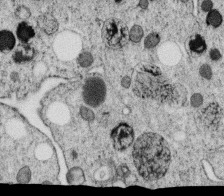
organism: C. elegans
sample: C. elegans oocyte; sperm cells